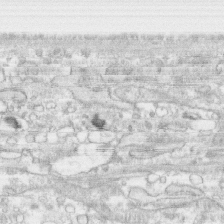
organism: Human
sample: CRL-1474